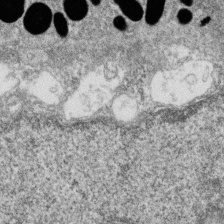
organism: Zebrafish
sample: Cilia; retinal pigment epithelium